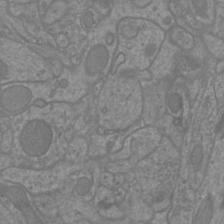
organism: Mouse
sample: Cortical neurons